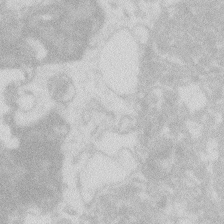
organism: Zebrafish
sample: Macrophage